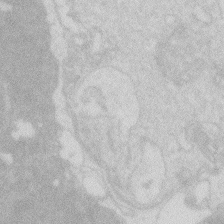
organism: Zebrafish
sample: Macrophage